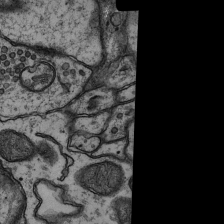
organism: Rat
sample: Hippocampus